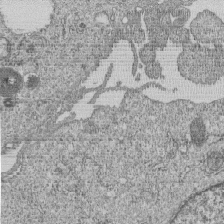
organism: Human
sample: MDA-MB-231 cells